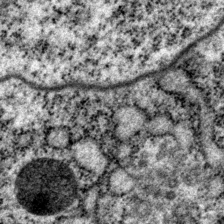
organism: P. pacificus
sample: Pharynx